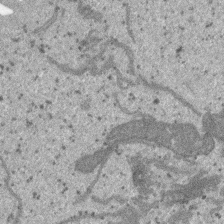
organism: Human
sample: Lung epithelial cells infected with SARS-CoV-2